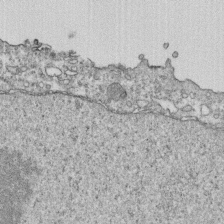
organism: Human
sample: HeLa cell HIV synapse